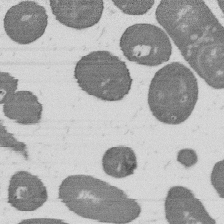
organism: B. subtilis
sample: Bacterial spore